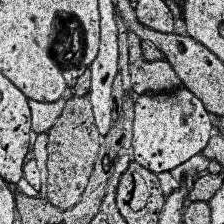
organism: Human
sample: Temporal Lobe